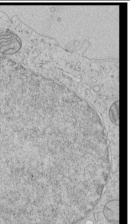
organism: Human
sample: Mitochondria in HCT116 cells